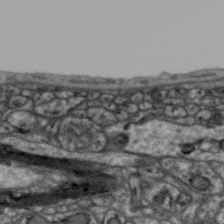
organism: Zebra finch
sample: Brain